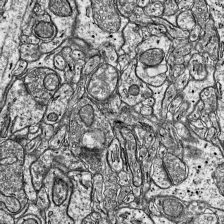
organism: Mouse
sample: Visual Cortex